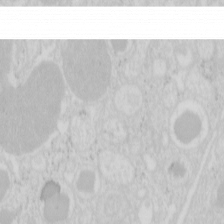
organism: Mouse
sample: Pancreas